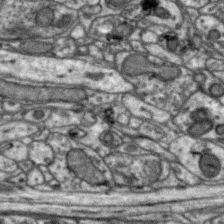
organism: Zebra finch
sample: Brain